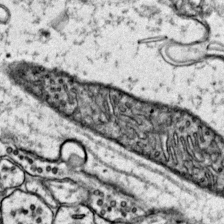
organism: Mouse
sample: Primary visual cortex